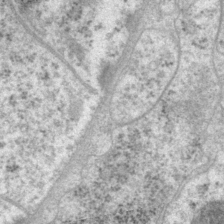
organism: P. pacificus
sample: Pharynx